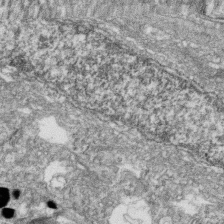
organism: Zebrafish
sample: Cilia; retinal pigment epithelium